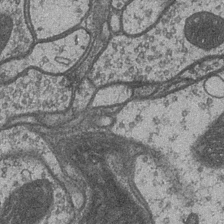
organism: Drosophila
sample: Optic medulla